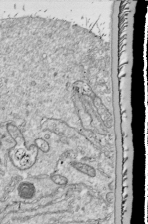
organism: Drosophila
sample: Cell division; meiosis; drosophila spermatocytes